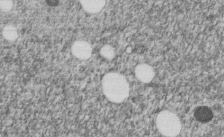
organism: C. elegans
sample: C. elegans embryo early stage